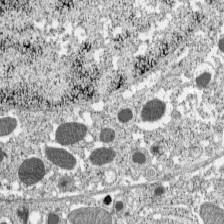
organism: C57BL Mouse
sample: Pancreatic islet